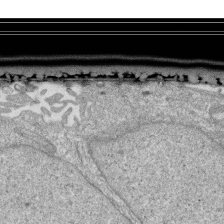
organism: Human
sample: HeLa cell HIV synapse